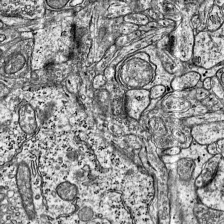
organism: Mouse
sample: Visual Cortex